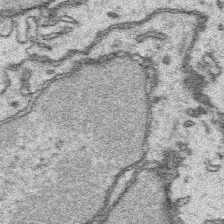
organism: Platynereis dumerilii